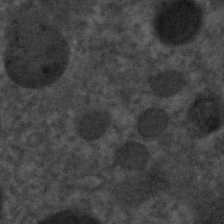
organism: C. elegans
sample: C. elegans embryo